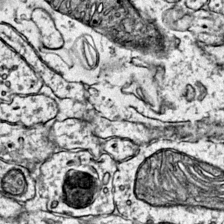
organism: Mouse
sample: Primary visual cortex